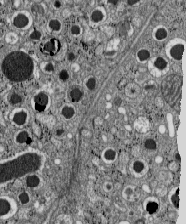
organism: C57BL Mouse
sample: Pancreatic islet